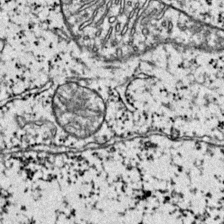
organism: Mouse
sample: Primary visual cortex